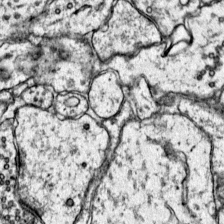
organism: Mouse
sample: Primary visual cortex